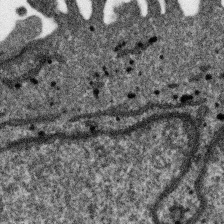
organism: Human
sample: Lung epithelial cells infected with SARS-CoV-2